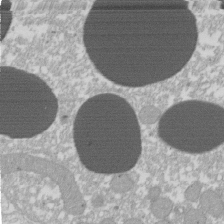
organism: Xenopus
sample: Cilia; centrioles in frog embryo cells